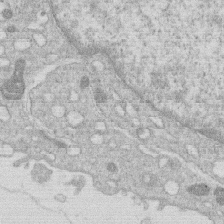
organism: Human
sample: Macrophage cells